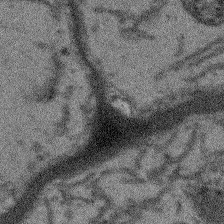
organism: Arabidopsis thaliana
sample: Root tip